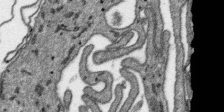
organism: Human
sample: Lung epithelial cells, uninfected (mock) control